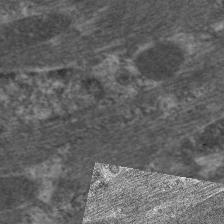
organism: C. elegans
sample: Pharynx